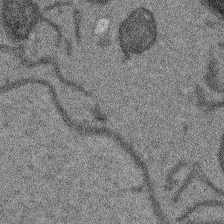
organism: Arabidopsis thaliana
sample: Root tip